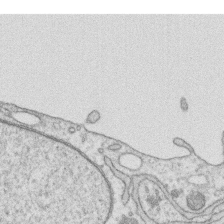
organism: Human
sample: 1205lu cells